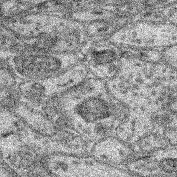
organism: Mouse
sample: Retina